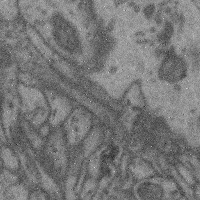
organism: Mouse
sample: Cerebral cortex